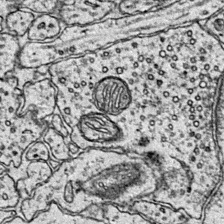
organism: Mouse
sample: Primary visual cortex